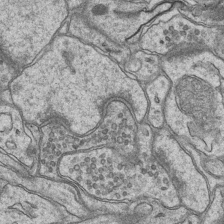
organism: Mouse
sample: CA1 Hippocampus